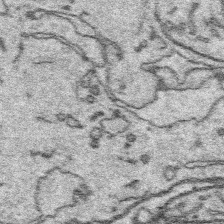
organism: Platynereis dumerilii